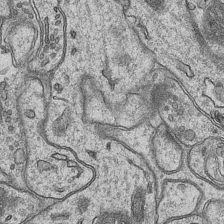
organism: Mouse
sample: CA1 Hippocampus